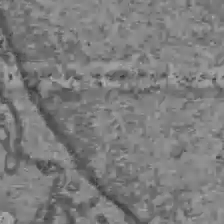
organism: C57BL Mouse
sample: Liver